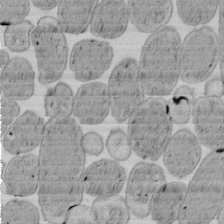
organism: E. coli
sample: Bacterial nucleoid